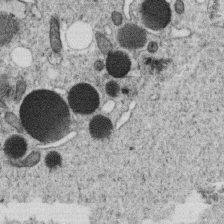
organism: C. elegans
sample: C. elegans oocyte; sperm cells